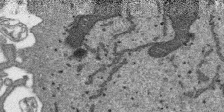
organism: Human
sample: Lung epithelial cells infected with SARS-CoV-2